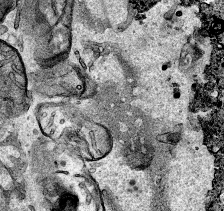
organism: Human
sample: Mitochondria in HCT116 cells